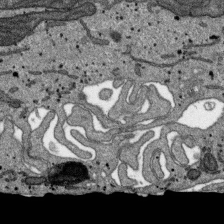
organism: Human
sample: Lung epithelial cells, uninfected (mock) control